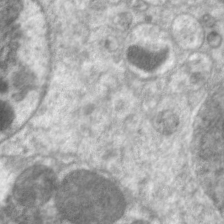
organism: C. elegans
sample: Pharynx